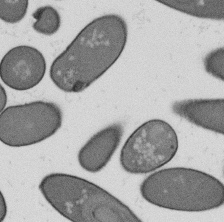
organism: B. subtilis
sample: Bacterial spore